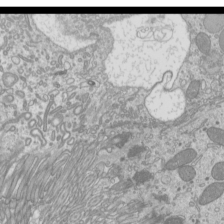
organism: Mouse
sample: Cilia; mouse epididymis